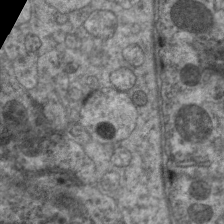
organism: C. elegans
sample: Pharynx